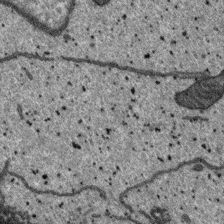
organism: Human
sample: Lung epithelial cells, uninfected (mock) control